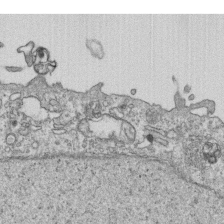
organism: Human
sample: HeLa cell HIV synapse